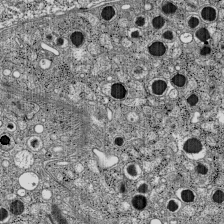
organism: C57BL Mouse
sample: Pancreatic islet